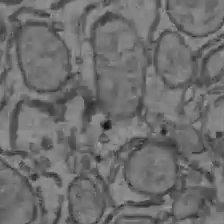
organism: C57BL Mouse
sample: Liver